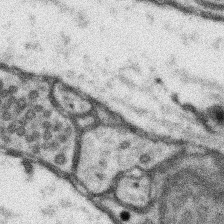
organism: Mouse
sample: Somatosensory cortex neuropil